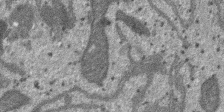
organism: Human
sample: Lung epithelial cells infected with SARS-CoV-2